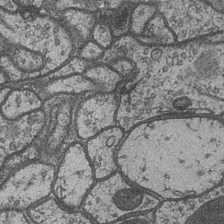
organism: Drosophila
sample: Optic medulla